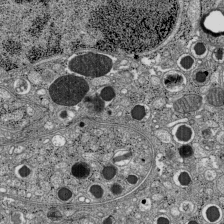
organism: C57BL Mouse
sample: Pancreatic islet